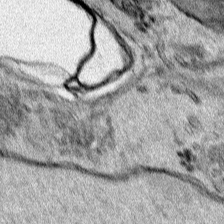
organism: Human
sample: Mitochondria in HCT116 cells